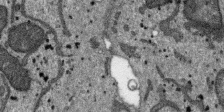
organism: Human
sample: Lung epithelial cells, uninfected (mock) control